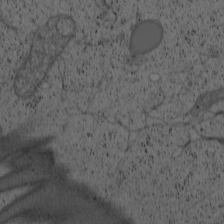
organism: African green monkey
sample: COS-7 cells